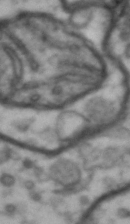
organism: Drosophila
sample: Brain